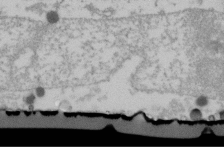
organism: Human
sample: U2-OS cells